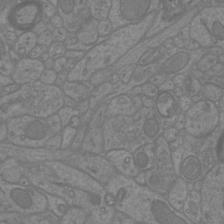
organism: Mouse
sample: Cortical neurons